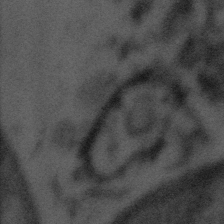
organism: Tuwongella immobilis